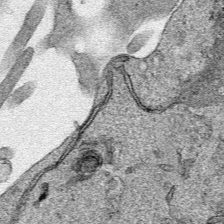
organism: Human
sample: Mitochondria in HCT116 cells